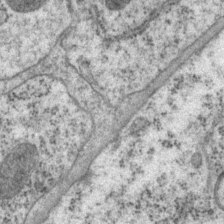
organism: P. pacificus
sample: Pharynx